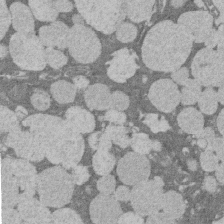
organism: Rat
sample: Salivary granule